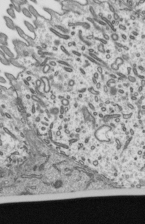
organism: Mouse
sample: Mouse epididymis efferent ductule cilia